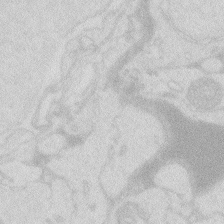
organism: Zebrafish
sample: Macrophage